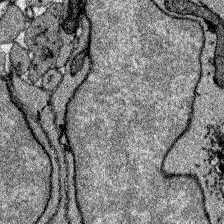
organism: Zebrafish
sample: Larval olfactory bulb